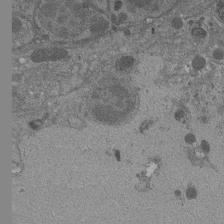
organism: Drosophila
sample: Antenna